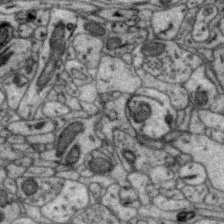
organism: Zebra finch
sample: Brain